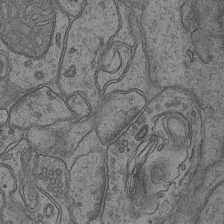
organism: Mouse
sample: CA1 Hippocampus